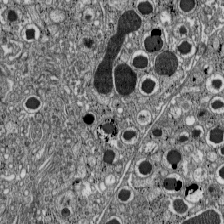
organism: C57BL Mouse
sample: Pancreatic islet